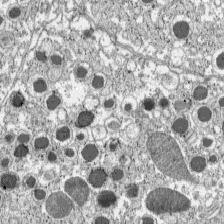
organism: C57BL Mouse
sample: Pancreatic islet